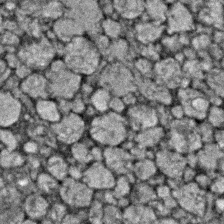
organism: Zebrafish